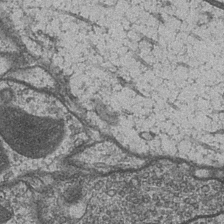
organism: Drosophila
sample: Optic medulla